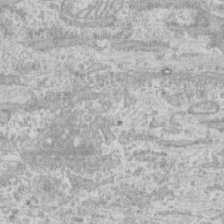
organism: Human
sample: CRL-1474